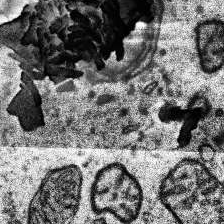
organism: Human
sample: Temporal Lobe